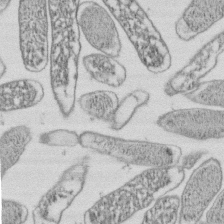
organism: E. coli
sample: Bacterial nucleoid